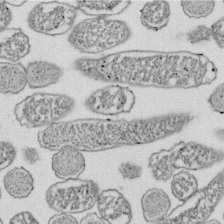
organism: E. coli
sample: Bacterial nucleoid